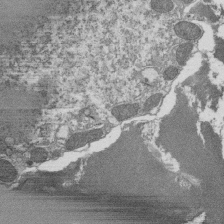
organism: Tetrahymena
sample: Cilia in tetrahymena